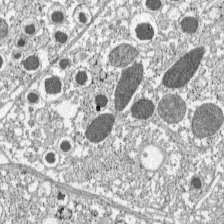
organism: C57BL Mouse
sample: Pancreatic islet